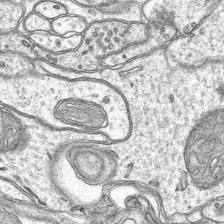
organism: Mouse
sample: CA1 Hippocampus